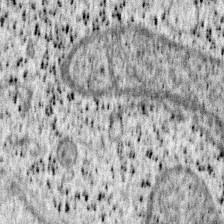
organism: Human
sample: HeLa cells